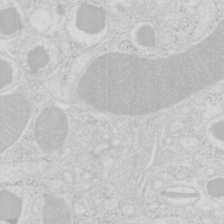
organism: Mouse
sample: Pancreas